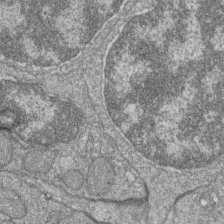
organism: Zebrafish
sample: Cilia; retinal pigment epithelium